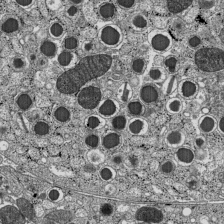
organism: C57BL Mouse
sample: Pancreatic islet